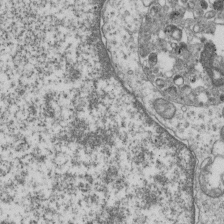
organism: Human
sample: MDA-MB-231 cells